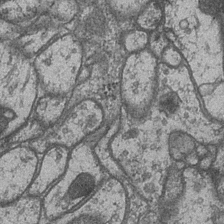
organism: Drosophila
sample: Optic medulla